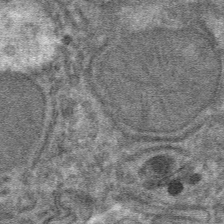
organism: Mouse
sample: Mouse hepatocytes